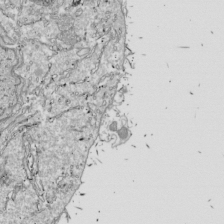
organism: Drosophila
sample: Cell division; meiosis; drosophila spermatocytes